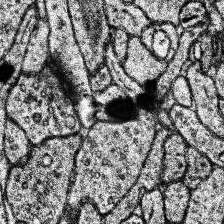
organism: Human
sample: Temporal Lobe